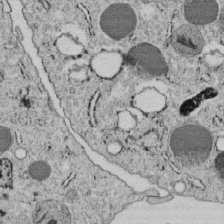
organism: C. elegans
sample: C. elegans embryo early stage